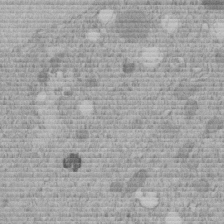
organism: C. elegans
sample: C. elegans embryo early stage